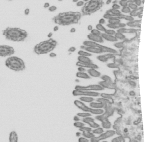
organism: Mouse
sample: Mouse epididymis efferent ductule cilia